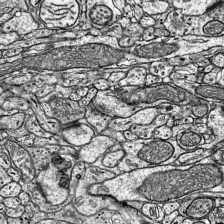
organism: Mouse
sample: Visual Cortex